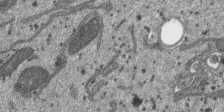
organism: Human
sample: Lung epithelial cells infected with SARS-CoV-2